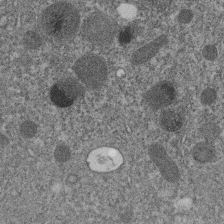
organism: C. elegans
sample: C. elegans embryo early stage